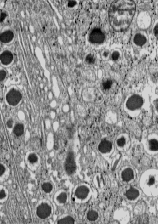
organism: C57BL Mouse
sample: Pancreatic islet